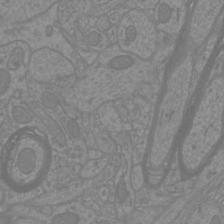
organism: Mouse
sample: Cortical neurons